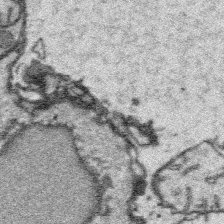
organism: Platynereis dumerilii